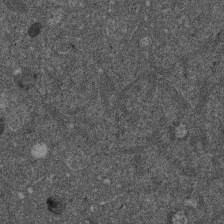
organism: Mouse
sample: Dividing mouse embryo 1 cell stage